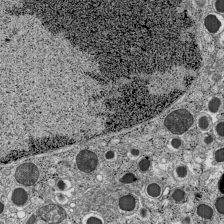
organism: C57BL Mouse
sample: Pancreatic islet